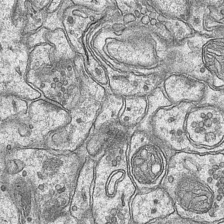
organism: Mouse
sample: CA1 Hippocampus